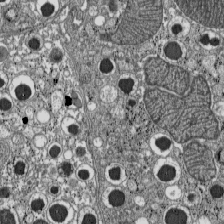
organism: C57BL Mouse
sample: Pancreatic islet